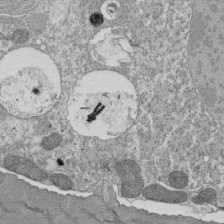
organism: Tetrahymena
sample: Cilia in tetrahymena